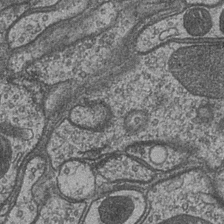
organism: Drosophila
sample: Optic medulla